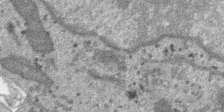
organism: Human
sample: Lung epithelial cells infected with SARS-CoV-2